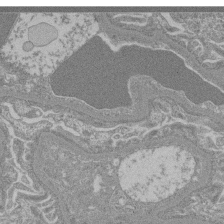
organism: Mouse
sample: Glomerulus